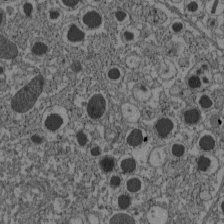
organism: C57BL Mouse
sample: Pancreatic islet